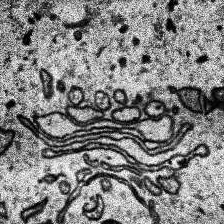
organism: Human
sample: Temporal Lobe